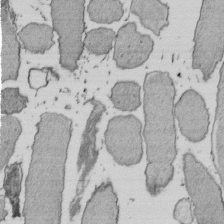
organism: E. coli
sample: Bacterial nucleoid